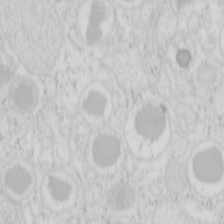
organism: Mouse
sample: Pancreas